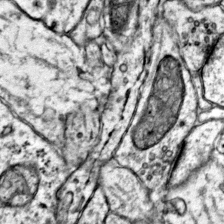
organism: Mouse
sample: Primary visual cortex